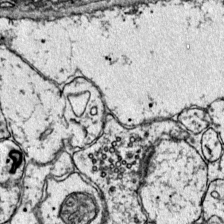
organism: Mouse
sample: Primary visual cortex